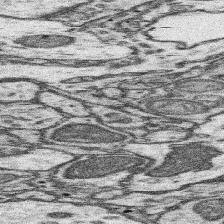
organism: Mouse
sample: Somatosensory cortex neuropil